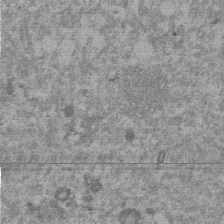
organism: Mouse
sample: Dividing mouse embryo 1 cell stage